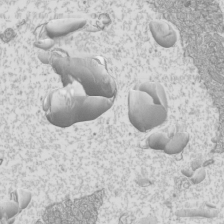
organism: Mouse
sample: Cilia; mouse epididymis